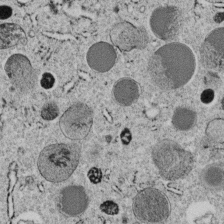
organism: C. elegans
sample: C. elegans embryo early stage